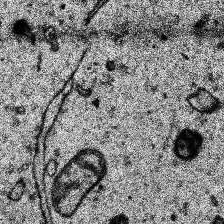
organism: Human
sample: Temporal Lobe